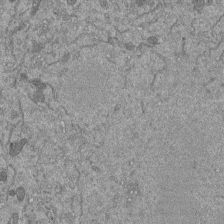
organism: Mouse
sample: ED-1 cell nuclei; centrioles